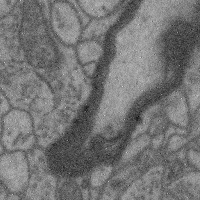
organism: Mouse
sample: Cerebral cortex